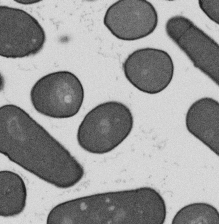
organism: B. subtilis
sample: Bacterial spore